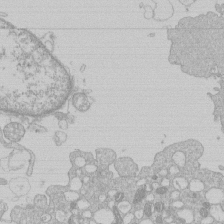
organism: Human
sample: Macrophage cells